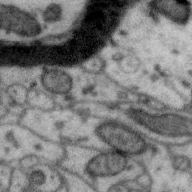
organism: Zebra finch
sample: Brain